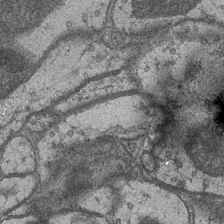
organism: Drosophila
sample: Optic medulla